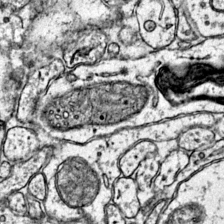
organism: Mouse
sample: Primary visual cortex